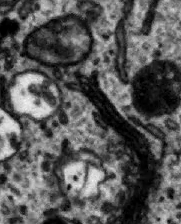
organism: Human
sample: HeLa cells